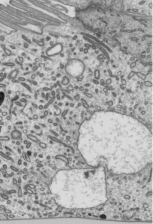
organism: Mouse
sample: Mouse epididymis efferent ductule cilia